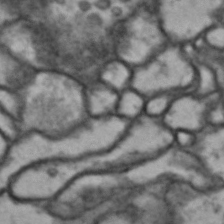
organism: Drosophila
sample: Brain